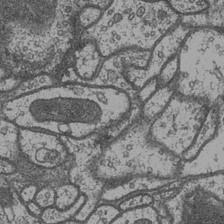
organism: Drosophila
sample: Optic medulla